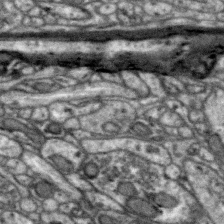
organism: Zebra finch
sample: Brain